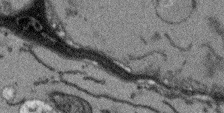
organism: Arabidopsis thaliana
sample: Root tip